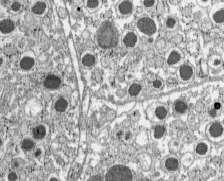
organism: C57BL Mouse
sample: Pancreatic islet